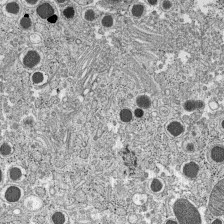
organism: C57BL Mouse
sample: Pancreatic islet